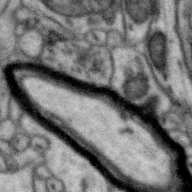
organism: Zebra finch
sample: Brain